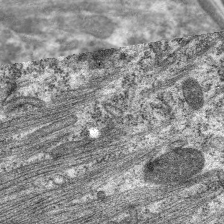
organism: C. elegans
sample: Pharynx